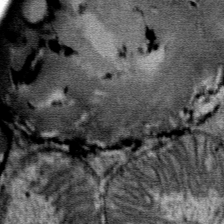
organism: Mouse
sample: Mouse Salivary gland